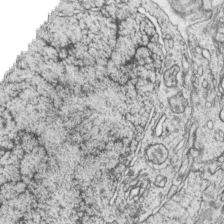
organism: Zebrafish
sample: synaptic ribbons in rod cells and cone cells